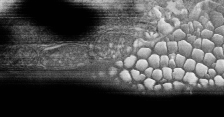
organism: Tetrahymena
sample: Cilia in tetrahymena